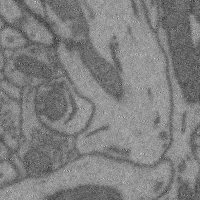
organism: Mouse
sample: Cerebral cortex